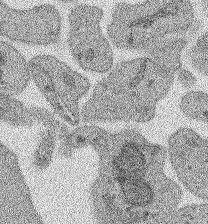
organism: Human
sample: HeLa cells